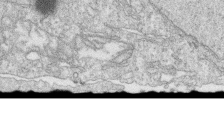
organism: Human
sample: HeLa cell HIV synapse